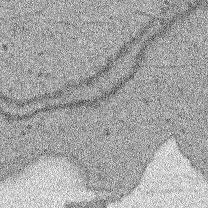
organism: Human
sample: HeLa cells